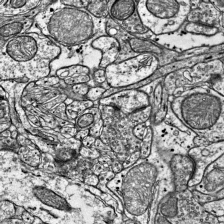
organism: Mouse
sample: Visual Cortex